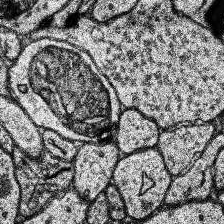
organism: Human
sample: Temporal Lobe